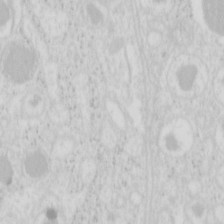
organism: Mouse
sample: Pancreas